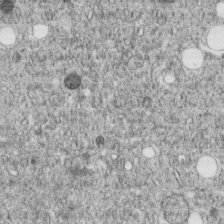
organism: C. elegans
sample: C. elegans embryo early stage